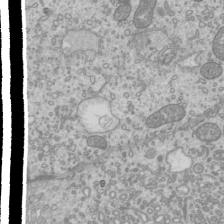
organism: Mouse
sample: Cilia; mouse epididymis